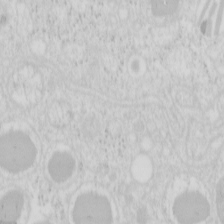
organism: Mouse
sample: Pancreas